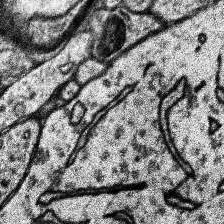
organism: Human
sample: Temporal Lobe